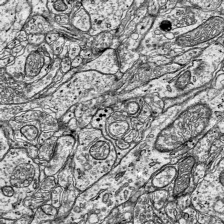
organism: Mouse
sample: Visual Cortex